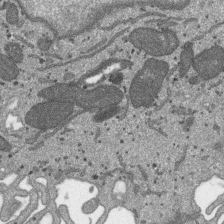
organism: Human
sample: Lung epithelial cells infected with SARS-CoV-2